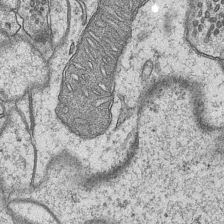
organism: Mouse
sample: CA1 Hippocampus